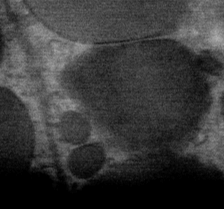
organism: Mouse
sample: Mouse Salivary gland